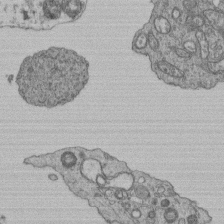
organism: Human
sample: Retinal organoid Rod and Cone cells